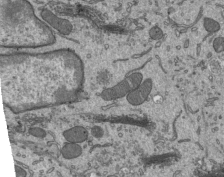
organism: Mouse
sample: Mouse epididymis efferent ductule cilia